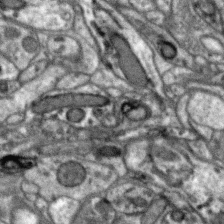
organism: Zebra finch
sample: Brain